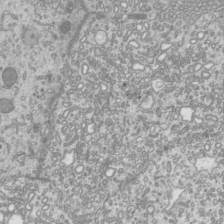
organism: Mouse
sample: Cilia; mouse epididymis